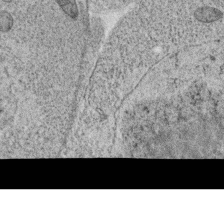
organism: C. elegans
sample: C. elegans oocyte; sperm cells